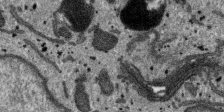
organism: Human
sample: Lung epithelial cells, uninfected (mock) control